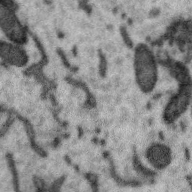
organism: Zebra finch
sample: Brain